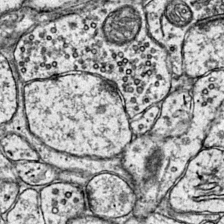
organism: Mouse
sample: Primary visual cortex